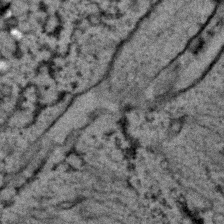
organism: C. elegans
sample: C. elegans embryo